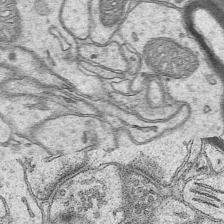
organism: Mouse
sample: CA1 Hippocampus